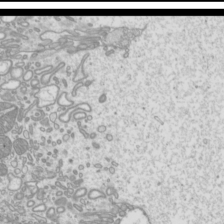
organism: Mouse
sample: Cilia; mouse epididymis